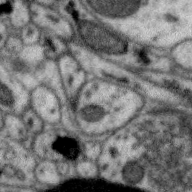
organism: Zebra finch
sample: Brain